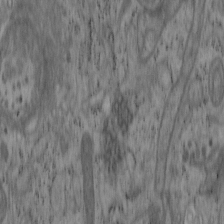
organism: Human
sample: HeLa cells